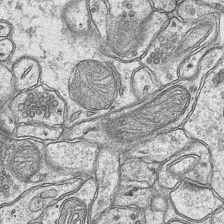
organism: Mouse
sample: CA1 Hippocampus